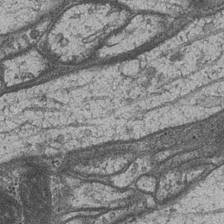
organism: Drosophila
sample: Optic medulla